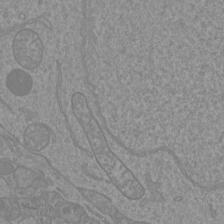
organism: Mouse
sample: Cortical neurons